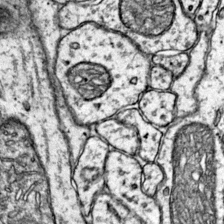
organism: Mouse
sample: Primary visual cortex